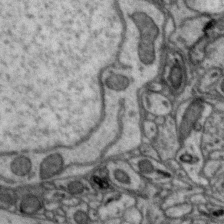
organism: Zebra finch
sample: Brain